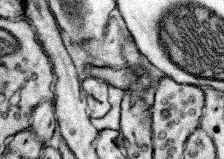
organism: Mouse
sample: Somatosensory cortex neuropil